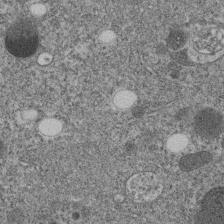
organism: C. elegans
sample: C. elegans embryo early stage